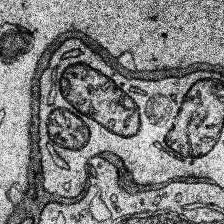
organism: Human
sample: Temporal Lobe